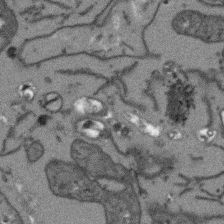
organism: Arabidopsis thaliana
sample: Root tip